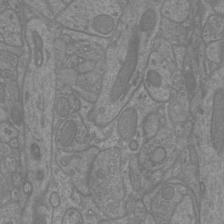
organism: Mouse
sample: Cortical neurons